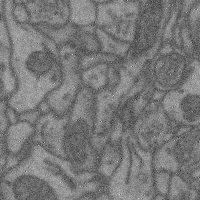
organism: Mouse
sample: Cerebral cortex